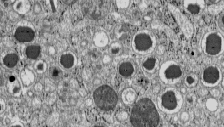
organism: C57BL Mouse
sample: Pancreatic islet